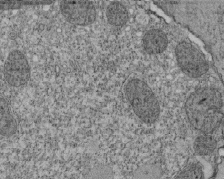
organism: Tetrahymena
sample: Cilia in tetrahymena